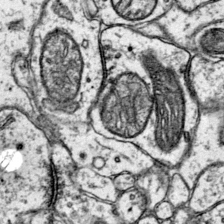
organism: Mouse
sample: Primary visual cortex